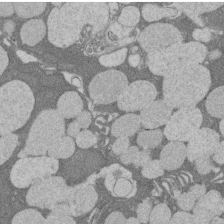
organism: Rat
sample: Salivary granule